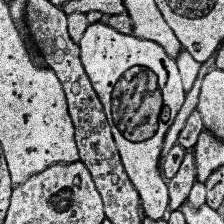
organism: Human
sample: Temporal Lobe